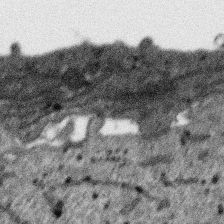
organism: Human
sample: Lung epithelial cells infected with SARS-CoV-2